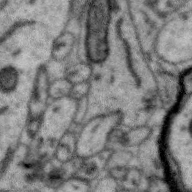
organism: Zebra finch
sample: Brain